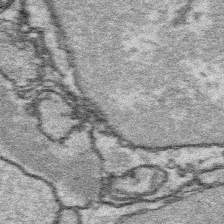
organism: Platynereis dumerilii